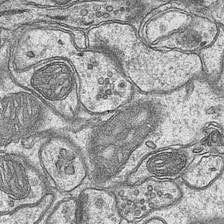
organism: Mouse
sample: CA1 Hippocampus